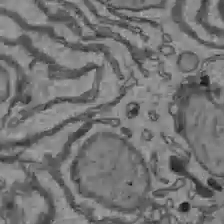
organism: C57BL Mouse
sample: Liver